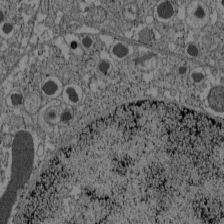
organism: C57BL Mouse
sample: Pancreatic islet